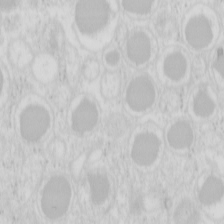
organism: Mouse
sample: Pancreas